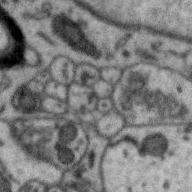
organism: Zebra finch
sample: Brain